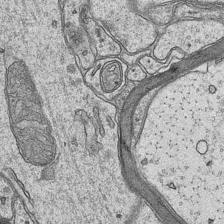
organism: Mouse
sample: CA1 Hippocampus